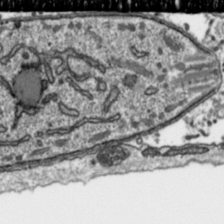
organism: Toxoplasma gondii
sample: Parasites in a vacuole inside a host cell